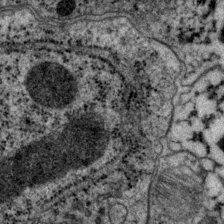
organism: P. pacificus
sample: Pharynx